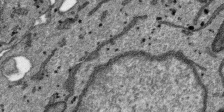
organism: Human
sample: Lung epithelial cells, uninfected (mock) control